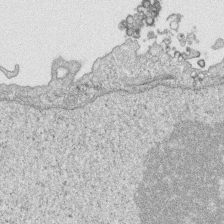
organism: Human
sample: HeLa cell HIV synapse